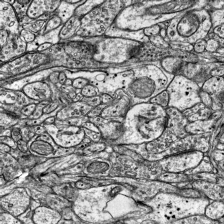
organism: Mouse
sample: Visual Cortex